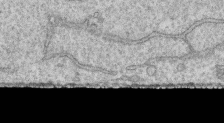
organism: Human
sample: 1205lu cells